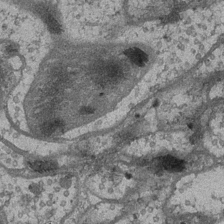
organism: Drosophila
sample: Optic medulla